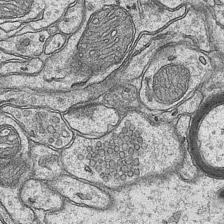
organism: Mouse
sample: CA1 Hippocampus